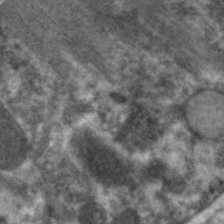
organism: C. elegans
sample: Pharynx